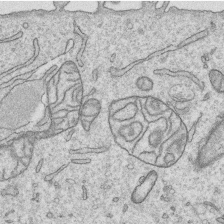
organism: Human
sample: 1205lu cells